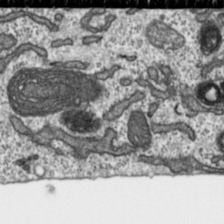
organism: Toxoplasma gondii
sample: Parasites in a vacuole inside a host cell